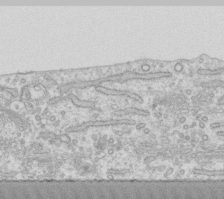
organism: Human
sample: Fibroblast cells